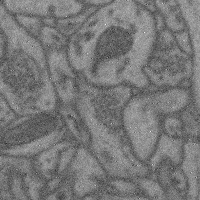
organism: Mouse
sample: Cerebral cortex